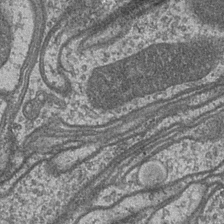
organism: Drosophila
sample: Optic medulla